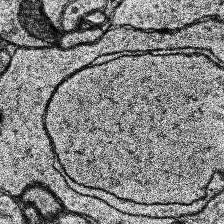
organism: Human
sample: Temporal Lobe